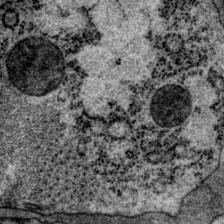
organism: P. pacificus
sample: Pharynx